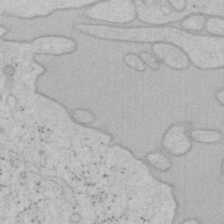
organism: Human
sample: HeLa cells